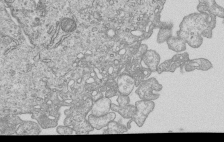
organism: Human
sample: MDA-MB-231 cells